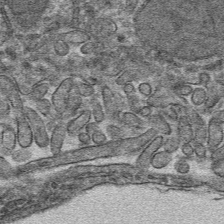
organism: Mouse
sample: Mouse hepatocytes